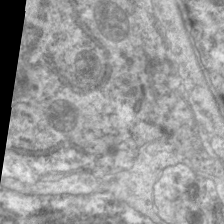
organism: C. elegans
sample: Pharynx